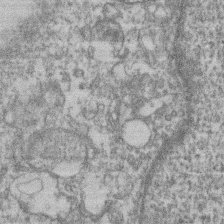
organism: Mouse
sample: T cell stromal cell synapse